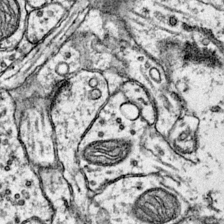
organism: Mouse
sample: Primary visual cortex